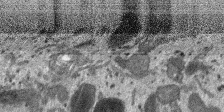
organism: Human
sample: Lung epithelial cells infected with SARS-CoV-2